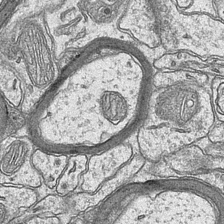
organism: Mouse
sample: CA1 Hippocampus